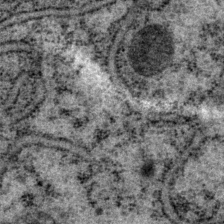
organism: P. pacificus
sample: Pharynx